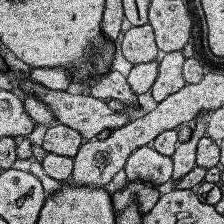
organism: Human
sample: Temporal Lobe